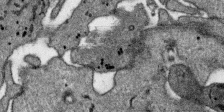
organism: Human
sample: Lung epithelial cells, uninfected (mock) control